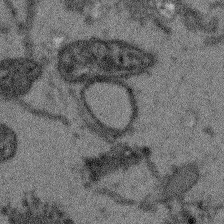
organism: Arabidopsis thaliana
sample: Root tip